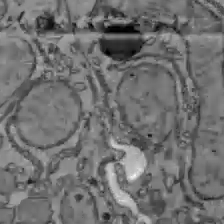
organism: C57BL Mouse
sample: Liver